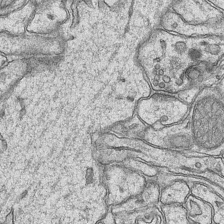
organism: Mouse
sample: CA1 Hippocampus